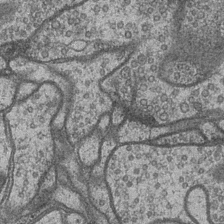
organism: Drosophila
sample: Optic medulla